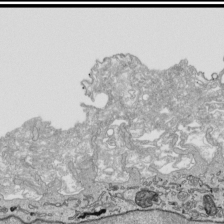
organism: Human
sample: Mitochondria in HCT116 cells